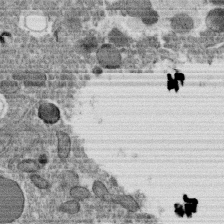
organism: C. elegans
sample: C. elegans oocyte; sperm cells